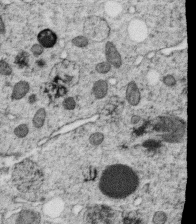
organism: C. elegans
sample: C. elegans oocyte; sperm cells